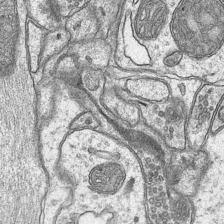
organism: Mouse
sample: CA1 Hippocampus